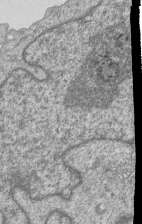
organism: Human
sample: MDA-MB-231 cells